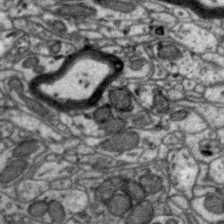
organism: Zebra finch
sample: Brain